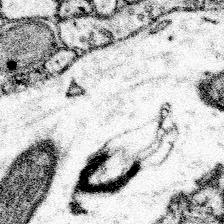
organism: Mouse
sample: Somatosensory cortex neuropil